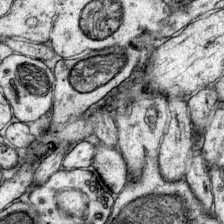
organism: Mouse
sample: Primary visual cortex